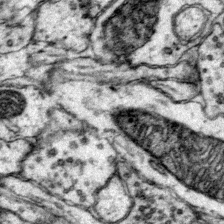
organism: Mouse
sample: Primary visual cortex